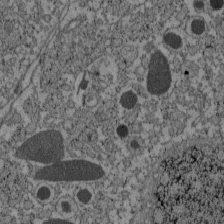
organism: C57BL Mouse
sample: Pancreatic islet